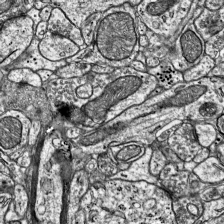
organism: Mouse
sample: Visual Cortex